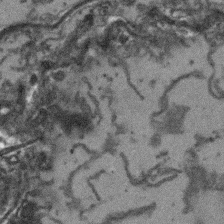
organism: Arabidopsis thaliana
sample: Root tip